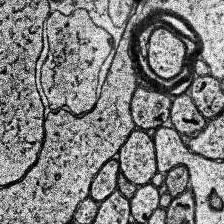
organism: Human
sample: Temporal Lobe